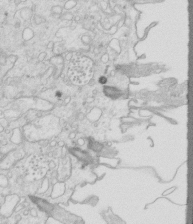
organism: Mouse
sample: Multiciliated cells